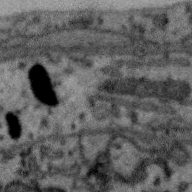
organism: Zebra finch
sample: Brain